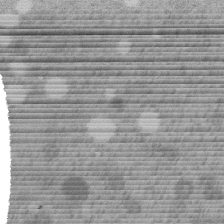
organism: C. elegans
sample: C. elegans embryo early stage